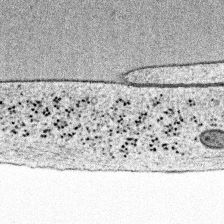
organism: Human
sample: HeLa cells